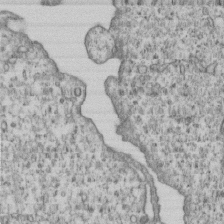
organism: Human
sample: MDA-MB-231 cells